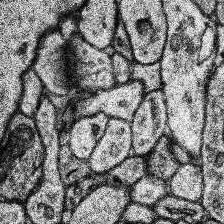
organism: Human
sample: Temporal Lobe